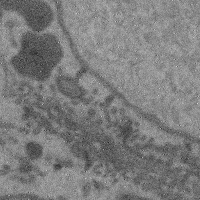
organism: Mouse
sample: Cerebral cortex